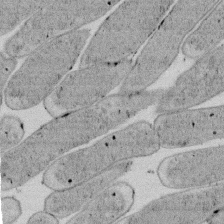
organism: E. coli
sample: Bacterial nucleoid